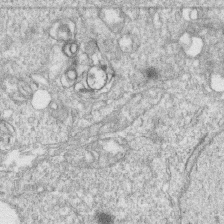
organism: Human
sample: HeLa cell HIV synapse